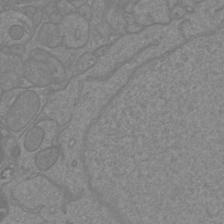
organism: Mouse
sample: Cortical neurons